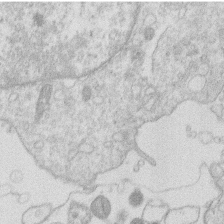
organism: Human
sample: Macrophage cells